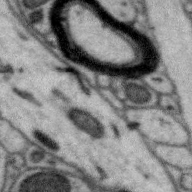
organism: Zebra finch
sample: Brain